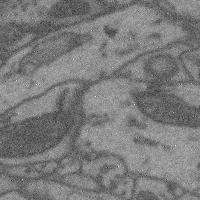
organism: Mouse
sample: Cerebral cortex